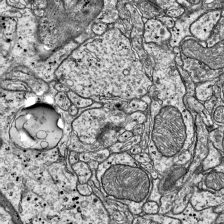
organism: Mouse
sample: Visual Cortex